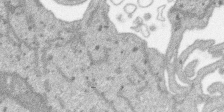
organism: Human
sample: Lung epithelial cells infected with SARS-CoV-2